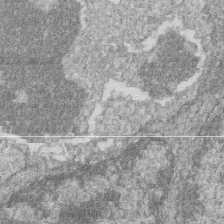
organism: Zebrafish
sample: Cilia; retinal pigment epithelium